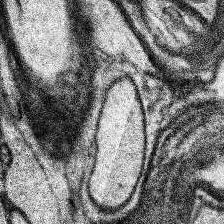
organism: Human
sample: Temporal Lobe